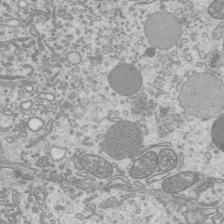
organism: Mouse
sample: Cilia; mouse epididymis